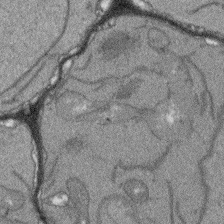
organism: Arabidopsis thaliana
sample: Root tip